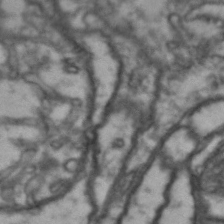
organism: Drosophila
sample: Brain